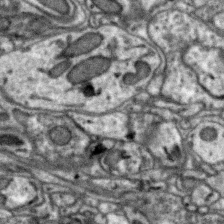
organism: Zebra finch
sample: Brain